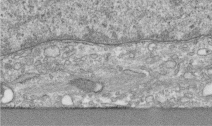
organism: Human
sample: Centriole in RPE cells